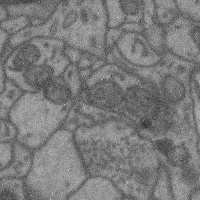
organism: Mouse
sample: Cerebral cortex